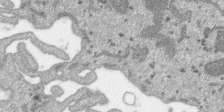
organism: Human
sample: Lung epithelial cells infected with SARS-CoV-2